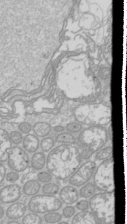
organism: Drosophila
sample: Cell division; meiosis; drosophila spermatocytes